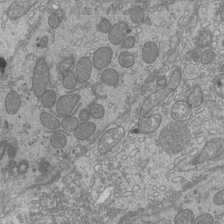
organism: Mouse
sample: Cilia; mouse epididymis